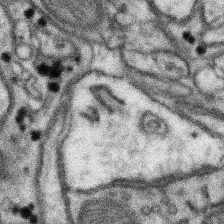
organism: Mouse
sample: Somatosensory cortex neuropil